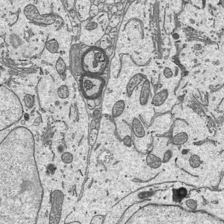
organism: Mouse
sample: Suprachiasmatic nucleus